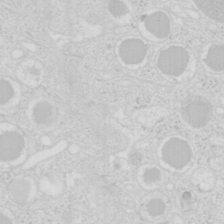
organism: Mouse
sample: Pancreas